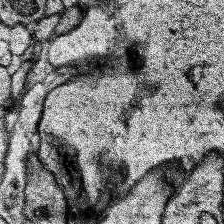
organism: Human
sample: Temporal Lobe